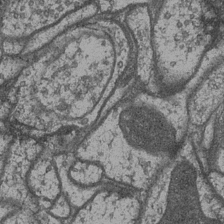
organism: Drosophila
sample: Optic medulla